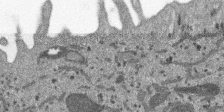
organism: Human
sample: Lung epithelial cells infected with SARS-CoV-2